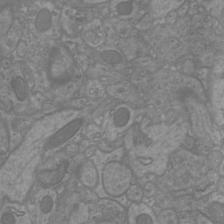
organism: Mouse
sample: Cortical neurons